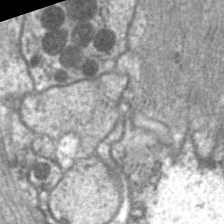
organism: C. elegans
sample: Pharynx